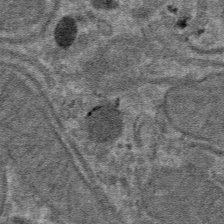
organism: Mouse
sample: Mouse hepatocytes